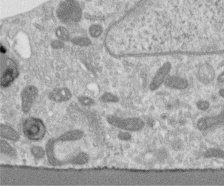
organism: Human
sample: Centriole in RPE cells